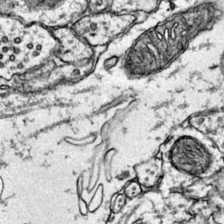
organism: Mouse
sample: Primary visual cortex